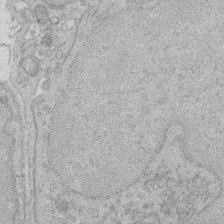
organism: Rat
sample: Salivary granule